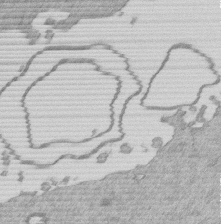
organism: Mouse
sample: Dividing mouse embryo 1 cell stage